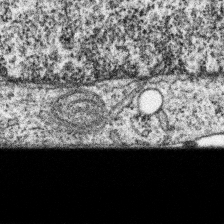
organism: Human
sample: HeLa cells